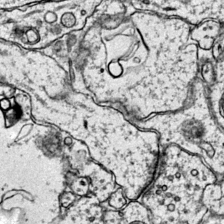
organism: Mouse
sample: Primary visual cortex